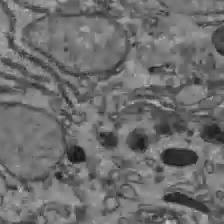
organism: C57BL Mouse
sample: Liver